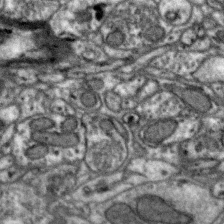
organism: Zebra finch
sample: Brain